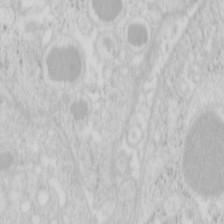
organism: Mouse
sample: Pancreas